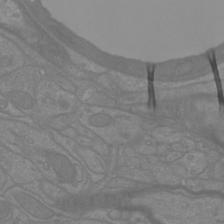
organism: Mouse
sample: Cortical neurons